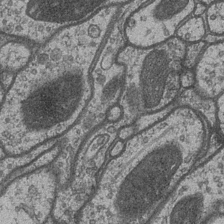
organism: Drosophila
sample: Optic medulla